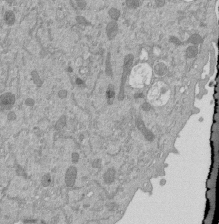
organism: Mouse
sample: ED-1 cell nuclei; centrioles